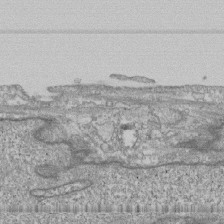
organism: Human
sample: Fibroblast cells